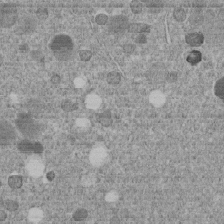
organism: C. elegans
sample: C. elegans embryo early stage